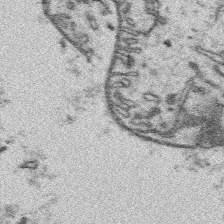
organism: Platynereis dumerilii